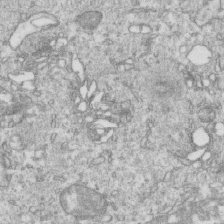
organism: Mouse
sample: Activated OT-1 CD8+ T cells